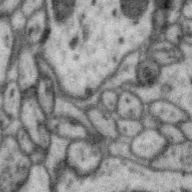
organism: Zebra finch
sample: Brain